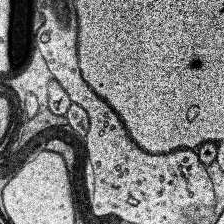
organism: Human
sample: Temporal Lobe